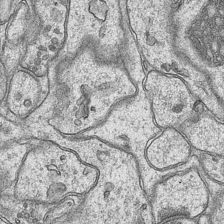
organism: Mouse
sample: CA1 Hippocampus